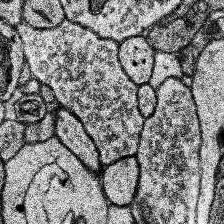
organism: Human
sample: Temporal Lobe